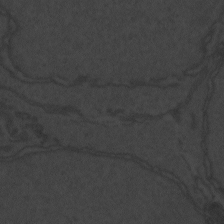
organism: Zebrafish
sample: Macrophage infected with Toxoplasma gondii